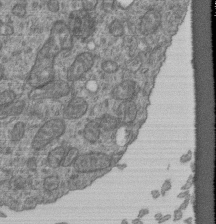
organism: Human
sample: Retinal organoid Rod and Cone cells